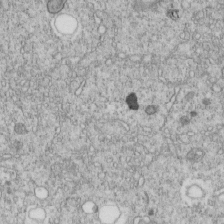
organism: C. elegans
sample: C. elegans embryo early stage